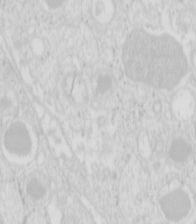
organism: Mouse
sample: Pancreas